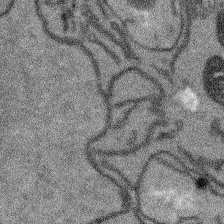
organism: Arabidopsis thaliana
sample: Root tip